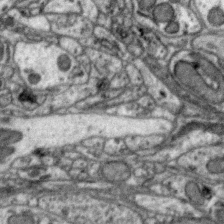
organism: Zebra finch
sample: Brain